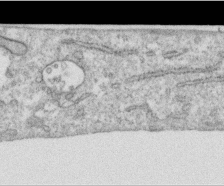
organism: Human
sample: Centriole in RPE cells